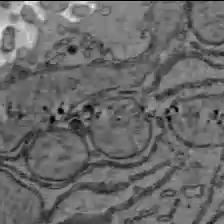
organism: C57BL Mouse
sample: Liver